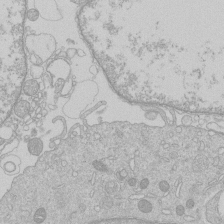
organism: Human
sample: Macrophage cells